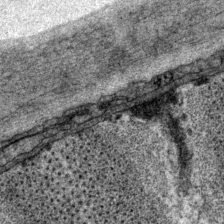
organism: P. pacificus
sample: Pharynx